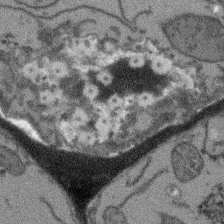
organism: Arabidopsis thaliana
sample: Root tip